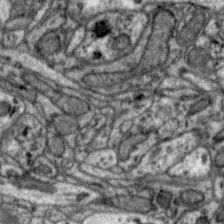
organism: Zebra finch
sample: Brain